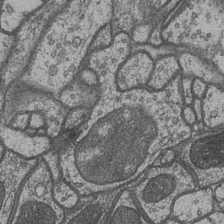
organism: Drosophila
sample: Optic medulla